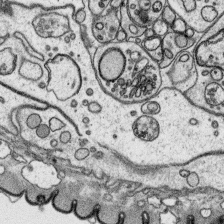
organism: Platynereis dumerilii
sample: Parapodia